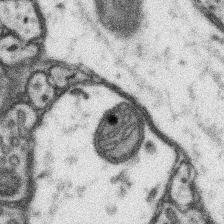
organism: Mouse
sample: Somatosensory cortex neuropil